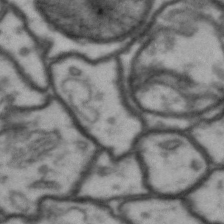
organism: Drosophila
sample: Brain